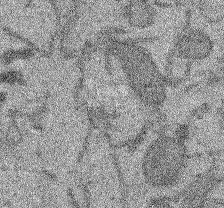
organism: Human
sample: HeLa cells